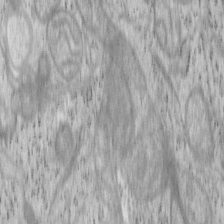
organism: Human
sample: HeLa cells